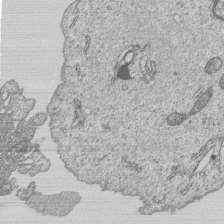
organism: Human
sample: MDA-MB-231 cells